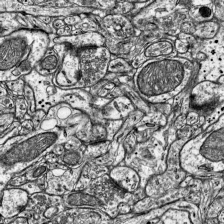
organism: Mouse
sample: Visual Cortex